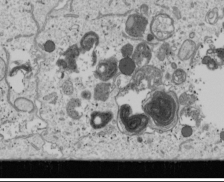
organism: Human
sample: Mitochondria in U2OS cells